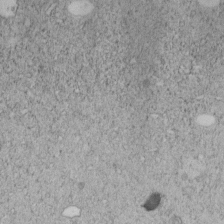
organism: C. elegans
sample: C. elegans embryo early stage